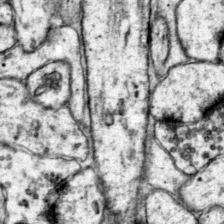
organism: Mouse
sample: Primary visual cortex